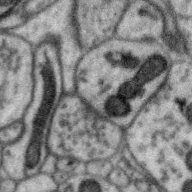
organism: Zebra finch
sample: Brain